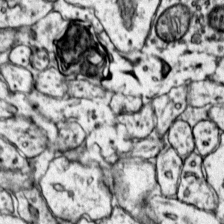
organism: Mouse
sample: Primary visual cortex